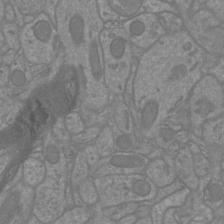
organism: Mouse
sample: Cortical neurons